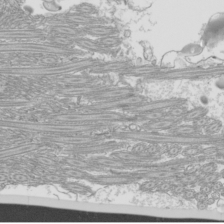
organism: Mouse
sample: Cilia; mouse epididymis